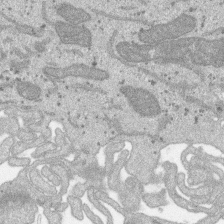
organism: Human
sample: Lung epithelial cells infected with SARS-CoV-2